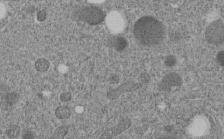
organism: C. elegans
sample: C. elegans embryo early stage